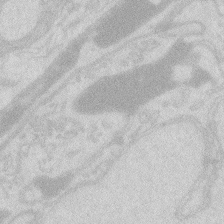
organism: Zebrafish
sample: Macrophage